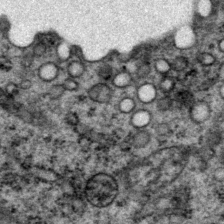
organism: P. pacificus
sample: Pharynx